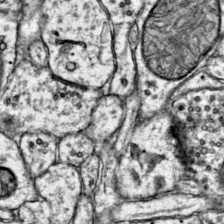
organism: Mouse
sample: Primary visual cortex